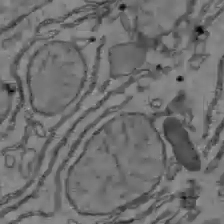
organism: C57BL Mouse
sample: Liver